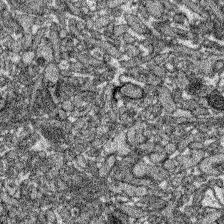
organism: Zebrafish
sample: Larval olfactory bulb